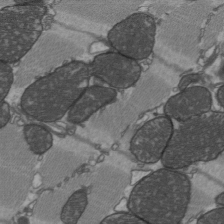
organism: C57BL Mouse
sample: Heart